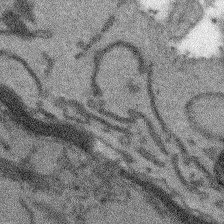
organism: Arabidopsis thaliana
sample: Root tip